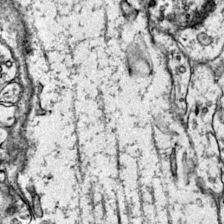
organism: Mouse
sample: Primary visual cortex